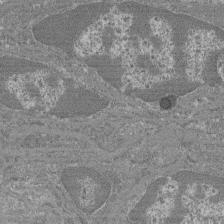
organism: Mouse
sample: Glomerulus